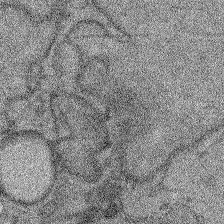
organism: Human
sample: HeLa cells